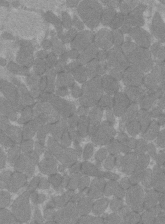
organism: C57BL Mouse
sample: Tibialis anterior muscle cell